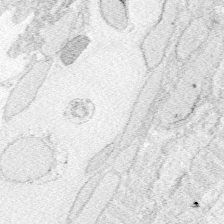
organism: Zebrafish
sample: Whole-Brain